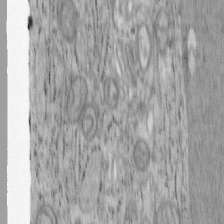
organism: Human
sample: HeLa cells